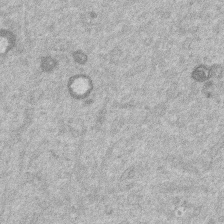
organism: Mouse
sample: Dividing mouse embryo 1 cell stage